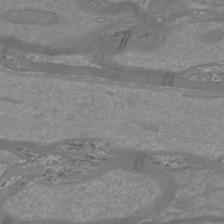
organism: Mouse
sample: Cortical neurons